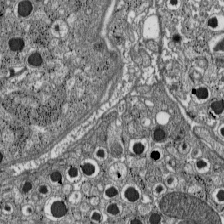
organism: C57BL Mouse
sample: Pancreatic islet